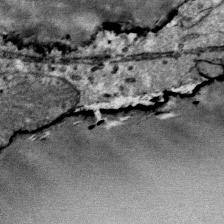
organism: Mouse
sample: Mouse Salivary gland